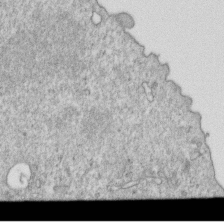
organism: Mouse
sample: Activated OT-1 CD8+ T cells